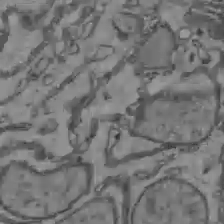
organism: C57BL Mouse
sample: Liver